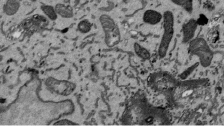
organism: Mouse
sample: ED-1 cell nuclei; centrioles